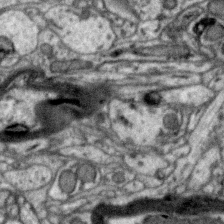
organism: Zebra finch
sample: Brain